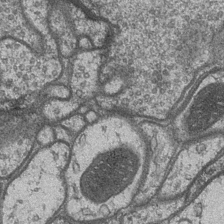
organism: Drosophila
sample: Optic medulla